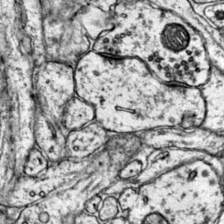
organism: Mouse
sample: Primary visual cortex